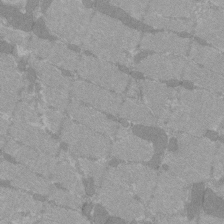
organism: C57BL Mouse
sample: Tibialis anterior muscle cell